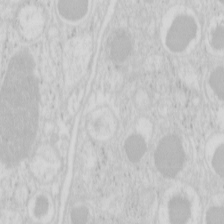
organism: Mouse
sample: Pancreas